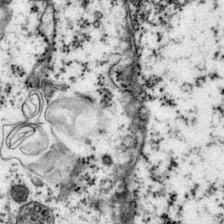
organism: Mouse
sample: Primary visual cortex